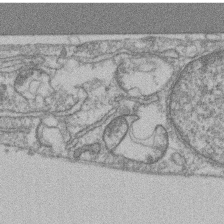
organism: Mouse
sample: T cell stromal cell synapse